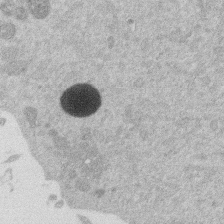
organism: Mouse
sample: Dividing mouse embryo 1 cell stage